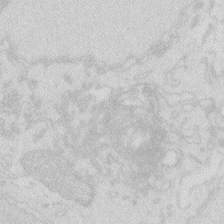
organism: Zebrafish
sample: Macrophage